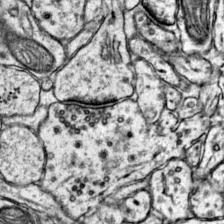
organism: Mouse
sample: Primary visual cortex